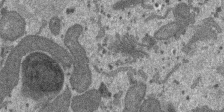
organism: Human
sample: Lung epithelial cells infected with SARS-CoV-2